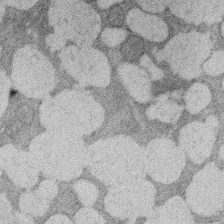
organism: Rat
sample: Salivary granule